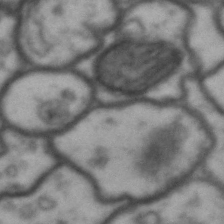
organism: Drosophila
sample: Brain